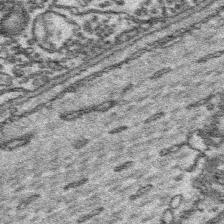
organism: Platynereis dumerilii